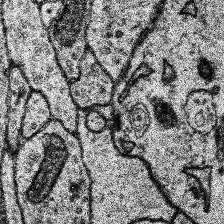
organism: Human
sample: Temporal Lobe